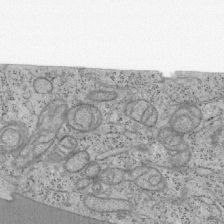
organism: Human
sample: HeLa cells